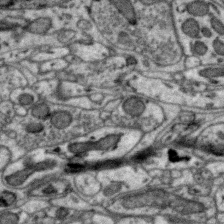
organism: Zebra finch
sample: Brain